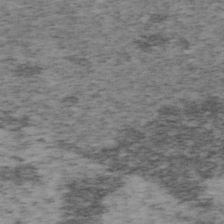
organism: Mouse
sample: OT-I killer T cells with ID8 ovarian cancer cells